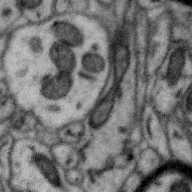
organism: Zebra finch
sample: Brain